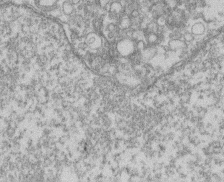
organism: Mouse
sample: T cell stromal cell synapse